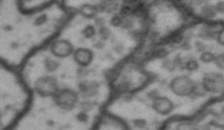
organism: Drosophila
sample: Brain